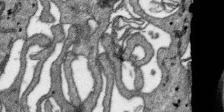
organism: Human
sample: Lung epithelial cells, uninfected (mock) control